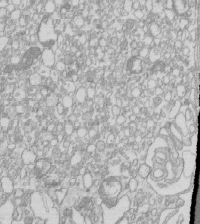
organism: Mouse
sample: Macrophages